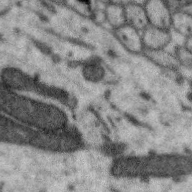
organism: Zebra finch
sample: Brain